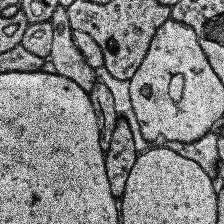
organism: Human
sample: Temporal Lobe